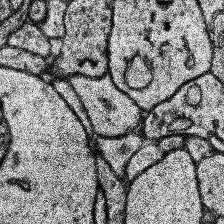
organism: Human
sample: Temporal Lobe